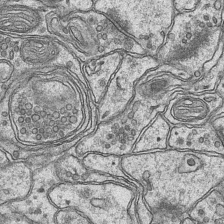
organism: Mouse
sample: CA1 Hippocampus